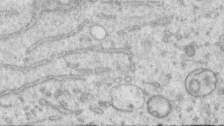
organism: Human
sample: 1205lu cells